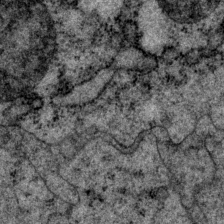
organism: P. pacificus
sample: Pharynx